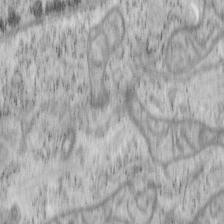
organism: Human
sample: HeLa cells